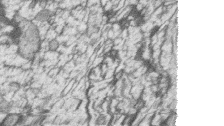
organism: Zebrafish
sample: synaptic ribbons in rod cells and cone cells